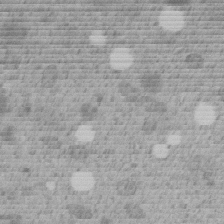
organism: C. elegans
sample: C. elegans embryo early stage